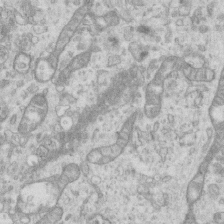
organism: Mouse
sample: Centriole in ependymal cells